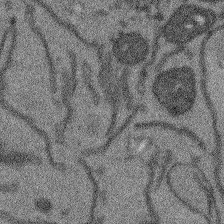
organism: Arabidopsis thaliana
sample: Root tip